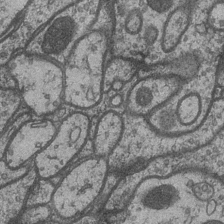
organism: Drosophila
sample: Optic medulla